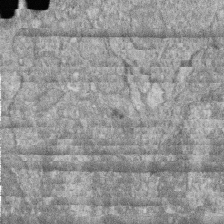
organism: Zebrafish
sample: Cilia; retinal pigment epithelium